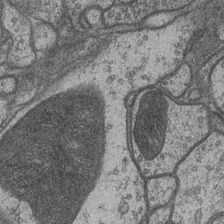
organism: Drosophila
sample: Optic medulla